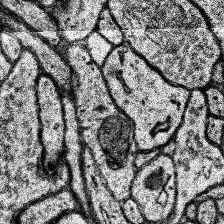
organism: Human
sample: Temporal Lobe